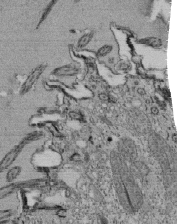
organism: Tetrahymena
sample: Cilia in tetrahymena